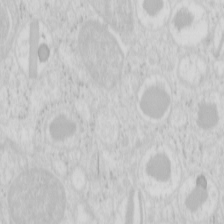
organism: Mouse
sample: Pancreas